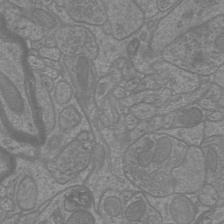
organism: Mouse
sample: Cortical neurons